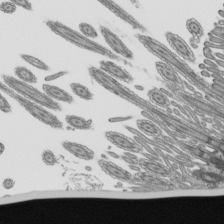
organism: Mouse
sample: Mouse epididymis efferent ductule cilia